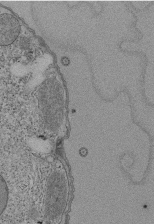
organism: Tetrahymena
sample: Cilia in tetrahymena